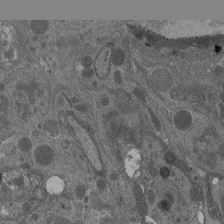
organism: Drosophila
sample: Antenna